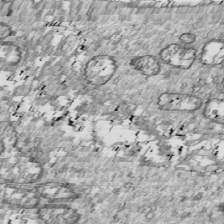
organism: Drosophila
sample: Cell division; meiosis; drosophila spermatocytes